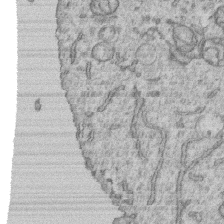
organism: Human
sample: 1205lu cells